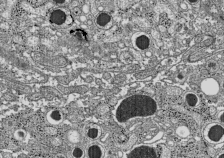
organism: C57BL Mouse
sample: Pancreatic islet